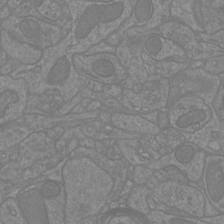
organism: Mouse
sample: Cortical neurons